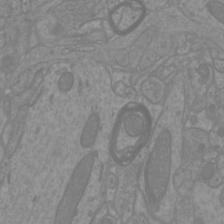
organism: Mouse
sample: Cortical neurons